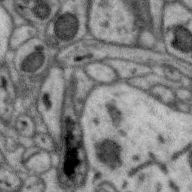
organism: Zebra finch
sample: Brain